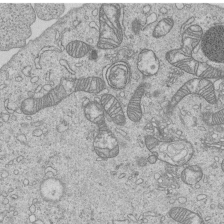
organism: Human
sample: MDA-MB-231 cells